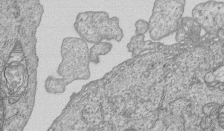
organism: Human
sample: MDA-MB-231 cells